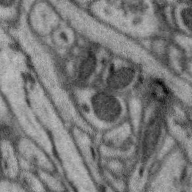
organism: Zebra finch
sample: Brain